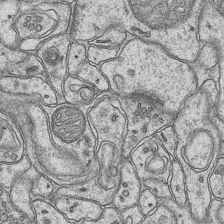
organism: Mouse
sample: CA1 Hippocampus